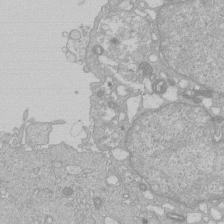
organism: Human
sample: Macrophage cells